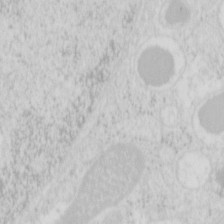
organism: Mouse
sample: Pancreas